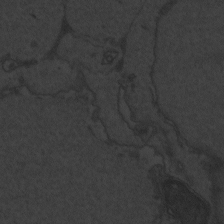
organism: Zebrafish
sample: Macrophage infected with Toxoplasma gondii